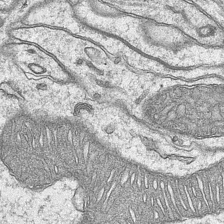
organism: Mouse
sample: CA1 Hippocampus